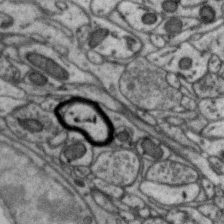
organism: Zebra finch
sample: Brain